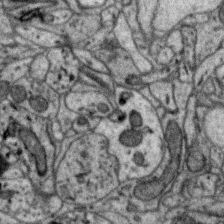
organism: Zebra finch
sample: Brain